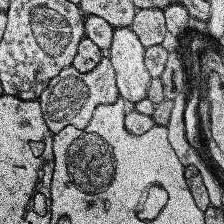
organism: Human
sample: Temporal Lobe